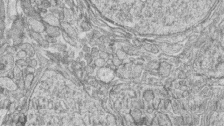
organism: Zebrafish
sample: synaptic ribbons in rod cells and cone cells